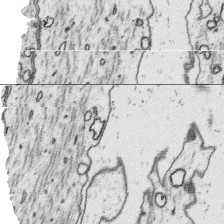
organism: Platynereis dumerilii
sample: Parapodia